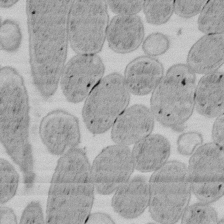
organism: E. coli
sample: Bacterial nucleoid